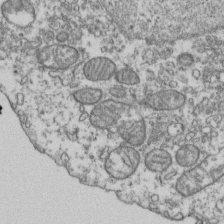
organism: Human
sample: Activated Jurkat CD4+ T cells